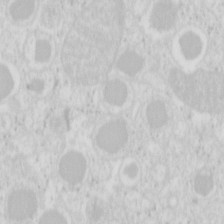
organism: Mouse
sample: Pancreas